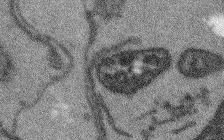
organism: Arabidopsis thaliana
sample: Root tip